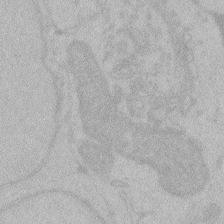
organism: Zebrafish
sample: Macrophage infected with Toxoplasma gondii